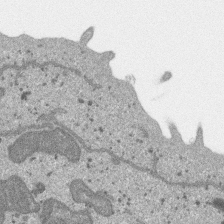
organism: Human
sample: Lung epithelial cells infected with SARS-CoV-2